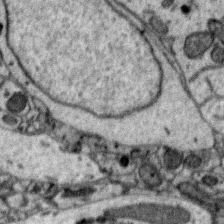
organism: Zebra finch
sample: Brain